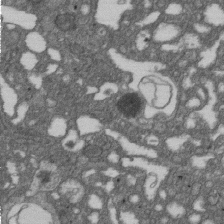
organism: Drosophila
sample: Nephrocyte